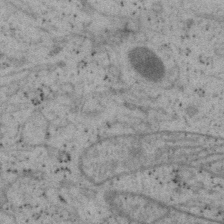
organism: Human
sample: HeLa cells